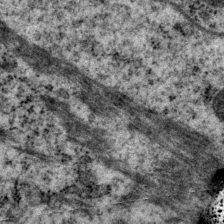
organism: P. pacificus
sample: Pharynx